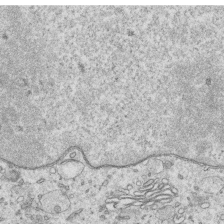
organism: Human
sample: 1205lu cells